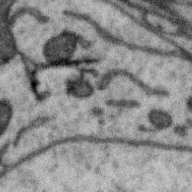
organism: Zebra finch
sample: Brain